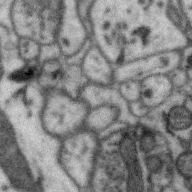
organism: Zebra finch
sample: Brain